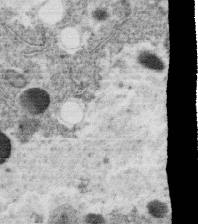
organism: C. elegans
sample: C. elegans oocyte; sperm cells